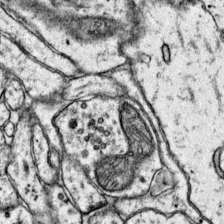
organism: Mouse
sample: Primary visual cortex